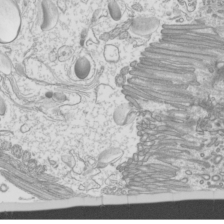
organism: Mouse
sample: Cilia; mouse epididymis